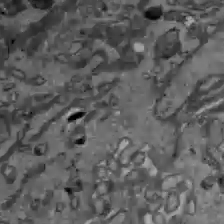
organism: C57BL Mouse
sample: Liver